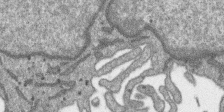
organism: Human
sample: Lung epithelial cells infected with SARS-CoV-2